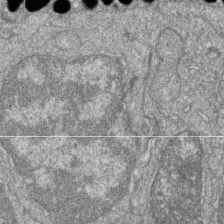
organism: Zebrafish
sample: Cilia; retinal pigment epithelium